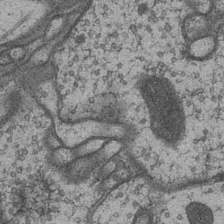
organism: Drosophila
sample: Optic medulla